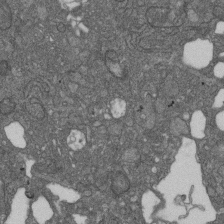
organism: Drosophila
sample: Nephrocyte